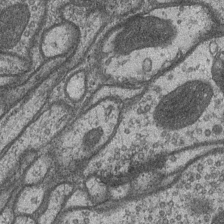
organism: Drosophila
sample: Optic medulla